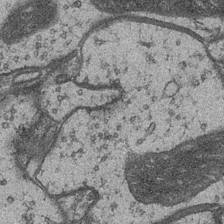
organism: Drosophila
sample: Optic medulla